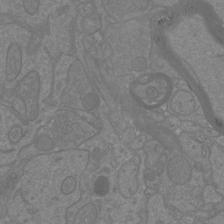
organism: Mouse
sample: Cortical neurons